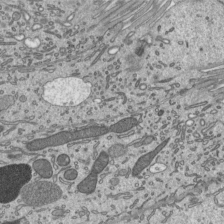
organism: Mouse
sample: Mouse epididymis efferent ductule cilia